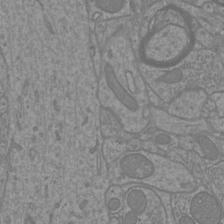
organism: Mouse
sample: Cortical neurons